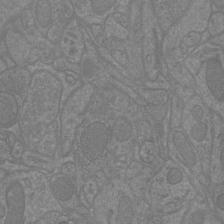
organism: Mouse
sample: Cortical neurons